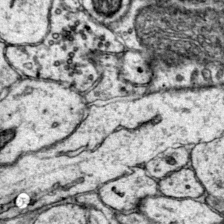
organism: Mouse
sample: Primary visual cortex